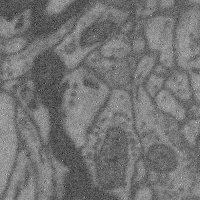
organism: Mouse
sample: Cerebral cortex